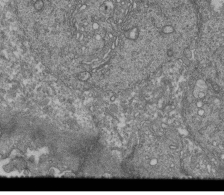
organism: Human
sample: Retinal organoid Rod and Cone cells